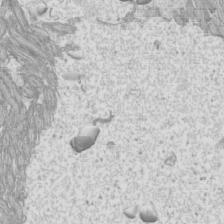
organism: Mouse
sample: Cilia; mouse epididymis